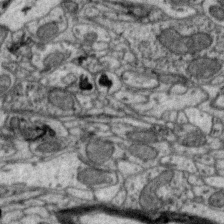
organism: Zebra finch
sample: Brain